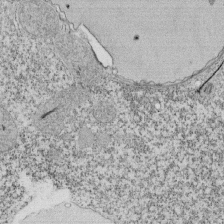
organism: Tetrahymena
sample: Cilia in tetrahymena